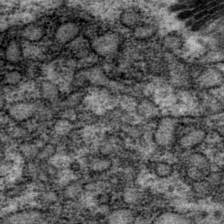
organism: P. pacificus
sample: Pharynx